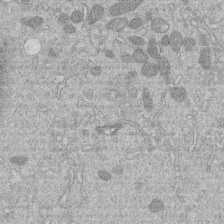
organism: Human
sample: Macrophage cells